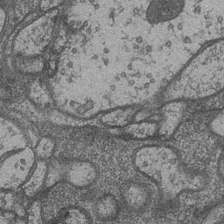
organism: Drosophila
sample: Optic medulla